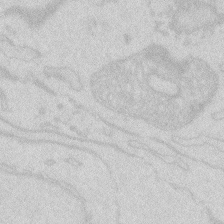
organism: Zebrafish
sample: Macrophage